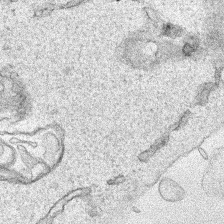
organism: Human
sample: Mitochondria in HCT116 cells